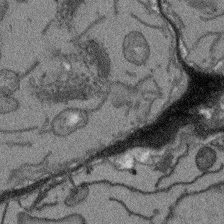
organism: Arabidopsis thaliana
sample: Root tip